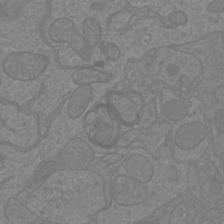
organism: Mouse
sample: Cortical neurons